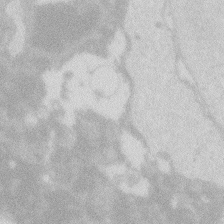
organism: Zebrafish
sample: Macrophage